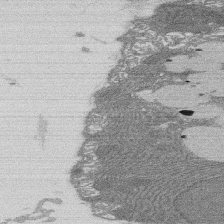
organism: Rat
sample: Salivary granule